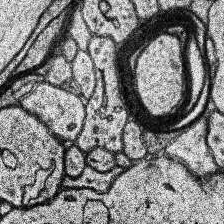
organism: Human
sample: Temporal Lobe